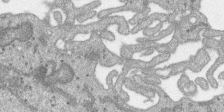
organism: Human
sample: Lung epithelial cells infected with SARS-CoV-2